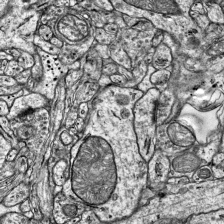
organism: Mouse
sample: Visual Cortex